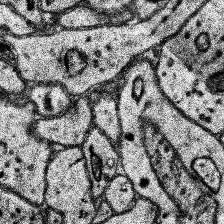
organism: Human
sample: Temporal Lobe